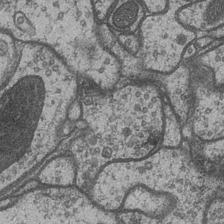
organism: Drosophila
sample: Optic medulla